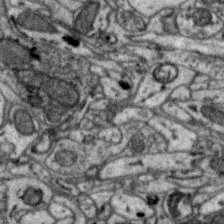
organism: Zebra finch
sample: Brain